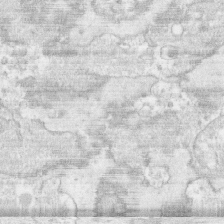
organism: Human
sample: CRL-1474